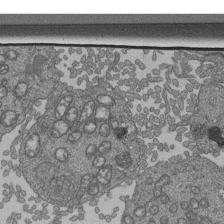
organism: Human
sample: Retinal organoid Rod and Cone cells